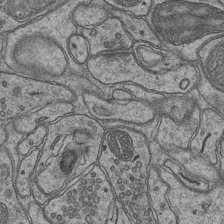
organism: Mouse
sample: CA1 Hippocampus